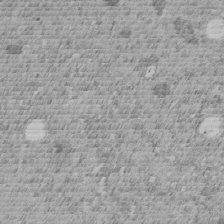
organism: C. elegans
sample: C. elegans embryo early stage